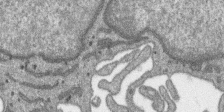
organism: Human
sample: Lung epithelial cells infected with SARS-CoV-2